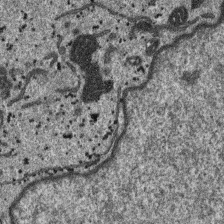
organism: Human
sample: Lung epithelial cells infected with SARS-CoV-2